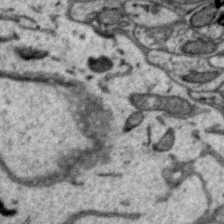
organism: Zebra finch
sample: Brain